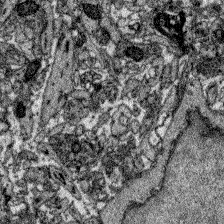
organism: Zebrafish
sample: Larval olfactory bulb